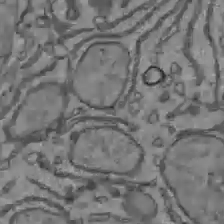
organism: C57BL Mouse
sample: Liver